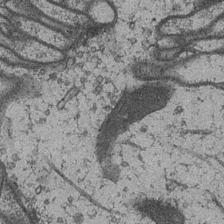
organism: Drosophila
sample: Optic medulla